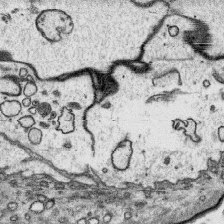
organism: Platynereis dumerilii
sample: Parapodia